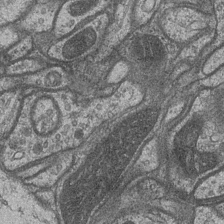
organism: Drosophila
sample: Optic medulla